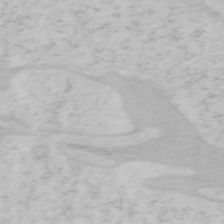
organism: Mouse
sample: OT-I killer T cells with ID8 ovarian cancer cells